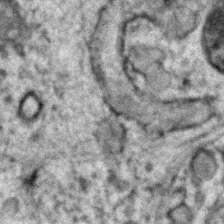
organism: Zebrafish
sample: Zebrafish embryo